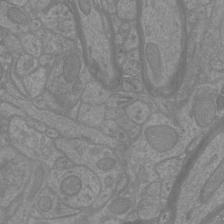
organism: Mouse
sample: Cortical neurons